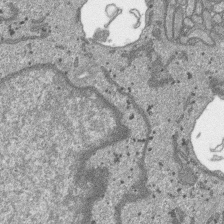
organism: Human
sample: Lung epithelial cells infected with SARS-CoV-2